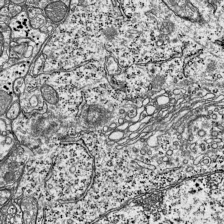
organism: Mouse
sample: Visual Cortex